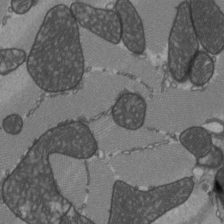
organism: C57BL Mouse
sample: Heart